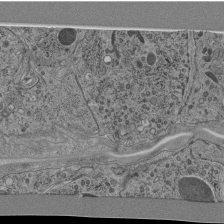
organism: C. elegans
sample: C. elegans pharynx